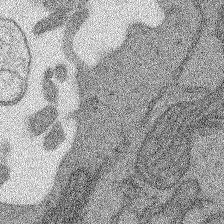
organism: Human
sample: HeLa cells